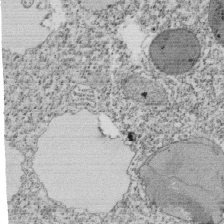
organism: Tetrahymena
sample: Cilia in tetrahymena